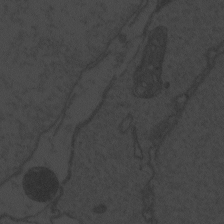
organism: Zebrafish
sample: Macrophage infected with Toxoplasma gondii